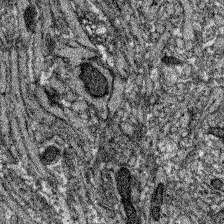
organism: Zebrafish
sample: Larval olfactory bulb